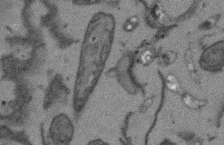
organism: Arabidopsis thaliana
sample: Root tip